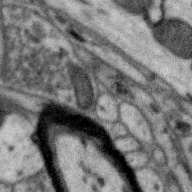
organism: Zebra finch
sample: Brain